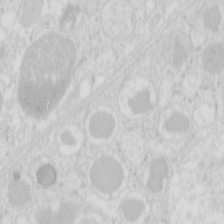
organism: Mouse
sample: Pancreas